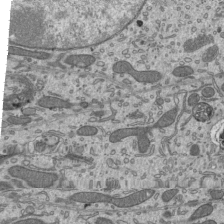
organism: Mouse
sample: Mouse epididymis efferent ductule cilia